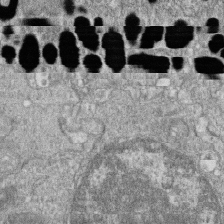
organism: Zebrafish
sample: Cilia; retinal pigment epithelium